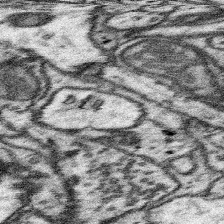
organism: Mouse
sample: Somatosensory cortex neuropil